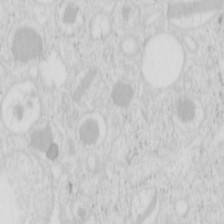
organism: Mouse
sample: Pancreas